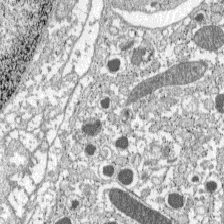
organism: C57BL Mouse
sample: Pancreatic islet